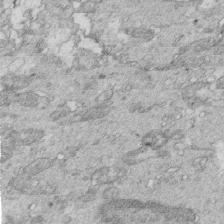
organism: Mouse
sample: Multiciliated cells